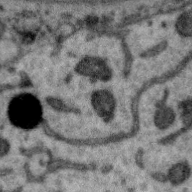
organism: Zebra finch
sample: Brain